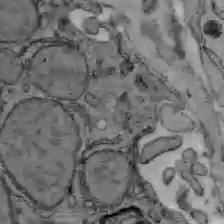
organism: C57BL Mouse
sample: Liver